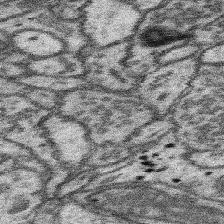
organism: Mouse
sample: Somatosensory cortex neuropil